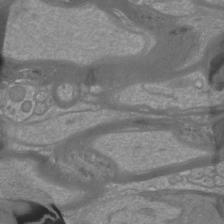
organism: Mouse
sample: Cortical neurons